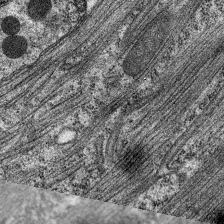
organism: C. elegans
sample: Pharynx